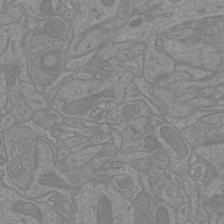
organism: Mouse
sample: Cortical neurons